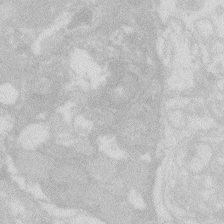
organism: Zebrafish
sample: Macrophage